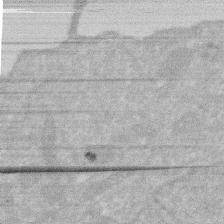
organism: Human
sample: HIV infected U937 cells